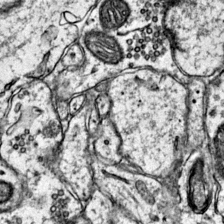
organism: Mouse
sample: Primary visual cortex